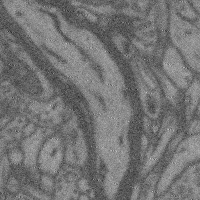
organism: Mouse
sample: Cerebral cortex